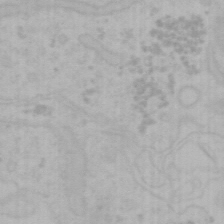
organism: Mouse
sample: Choroid plexus